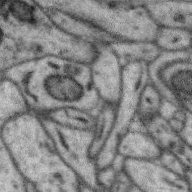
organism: Zebra finch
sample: Brain